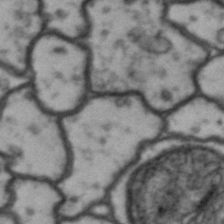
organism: Drosophila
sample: Brain